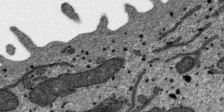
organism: Human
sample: Lung epithelial cells, uninfected (mock) control